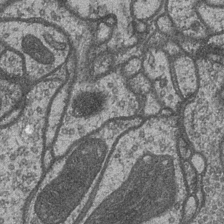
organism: Drosophila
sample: Optic medulla